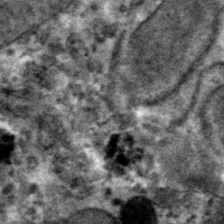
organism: Mouse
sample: Mouse hepatocytes